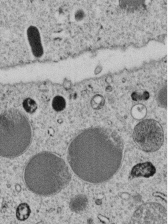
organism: C. elegans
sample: C. elegans embryo early stage